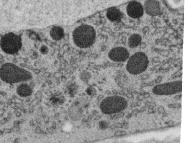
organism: C. elegans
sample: C. elegans oocyte; sperm cells